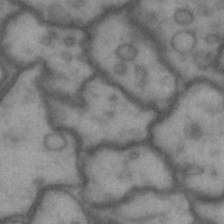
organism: Drosophila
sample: Brain